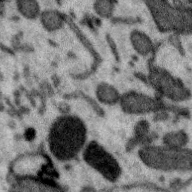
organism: Zebra finch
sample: Brain